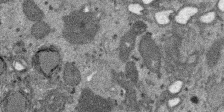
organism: Human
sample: Lung epithelial cells infected with SARS-CoV-2